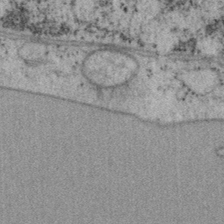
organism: Human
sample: HeLa cells